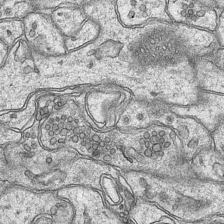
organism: Mouse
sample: CA1 Hippocampus